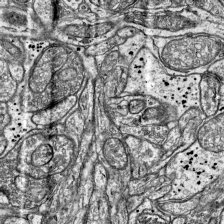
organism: Mouse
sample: Visual Cortex